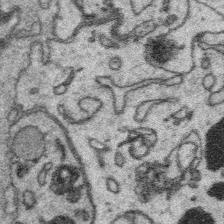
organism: Platynereis dumerilii